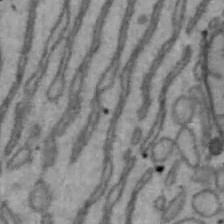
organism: Mouse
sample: Liver